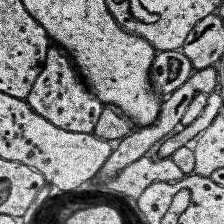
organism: Human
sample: Temporal Lobe